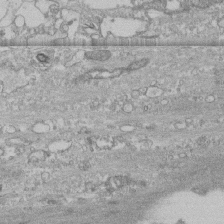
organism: Human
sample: CRL-1474